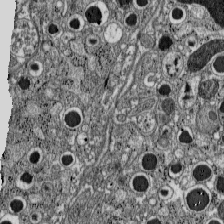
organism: C57BL Mouse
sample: Pancreatic islet